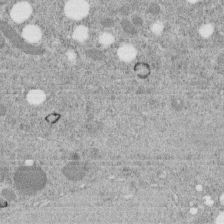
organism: C. elegans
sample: C. elegans embryo early stage